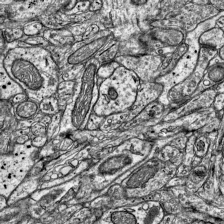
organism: Mouse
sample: Visual Cortex